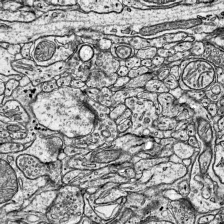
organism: Mouse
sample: Visual Cortex